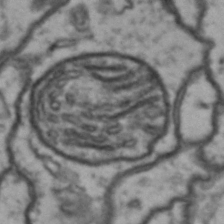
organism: Drosophila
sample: Brain